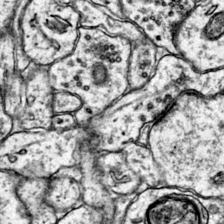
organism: Mouse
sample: Primary visual cortex